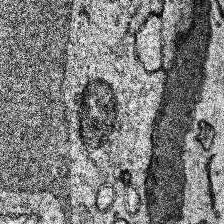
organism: Human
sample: Temporal Lobe